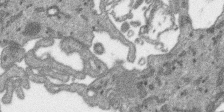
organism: Human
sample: Lung epithelial cells infected with SARS-CoV-2